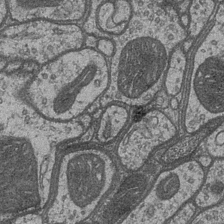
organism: Drosophila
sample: Optic medulla